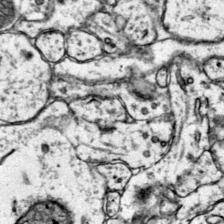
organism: Mouse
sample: Primary visual cortex